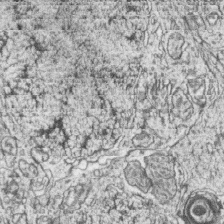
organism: Zebrafish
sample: synaptic ribbons in rod cells and cone cells